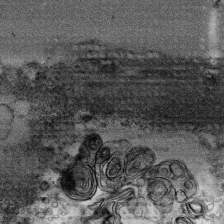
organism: Human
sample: CRL-1474